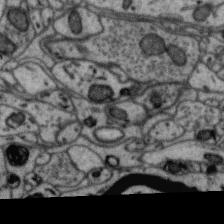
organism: Zebra finch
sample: Brain